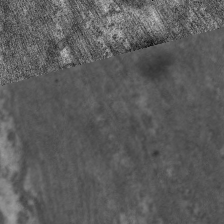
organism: C. elegans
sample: Pharynx